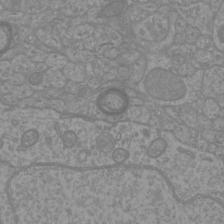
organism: Mouse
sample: Cortical neurons